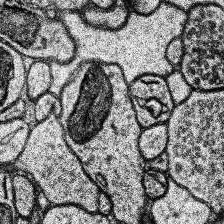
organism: Human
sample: Temporal Lobe